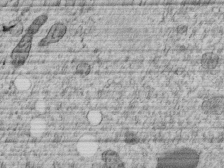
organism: C. elegans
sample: C. elegans embryo early stage